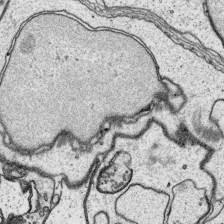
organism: Platynereis dumerilii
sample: Parapodia